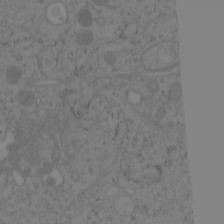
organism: Human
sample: HeLa cells